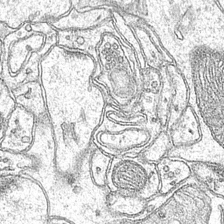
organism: Mouse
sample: CA1 Hippocampus